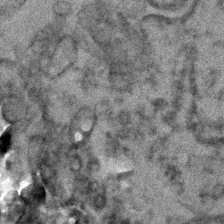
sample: Kidney